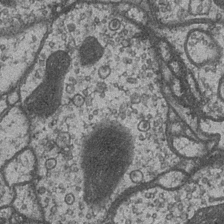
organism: Drosophila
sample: Optic medulla